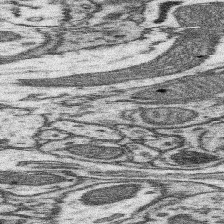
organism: Mouse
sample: Somatosensory cortex neuropil